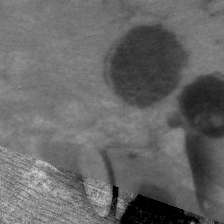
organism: C. elegans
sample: Pharynx